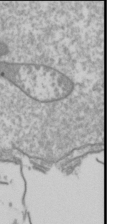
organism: Drosophila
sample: Cell division; meiosis; drosophila spermatocytes